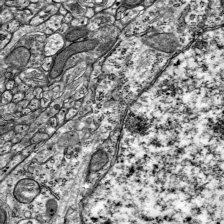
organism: Mouse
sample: Visual Cortex